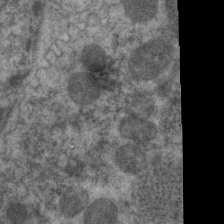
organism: C. elegans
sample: Pharynx